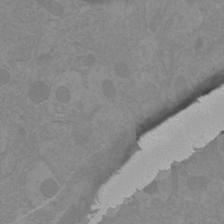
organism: Mouse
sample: Cortical neurons